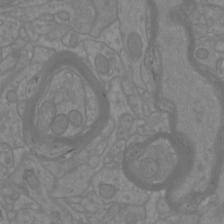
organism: Mouse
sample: Cortical neurons